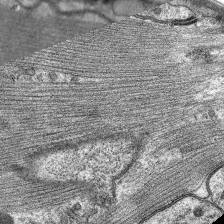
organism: C. elegans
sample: Pharynx